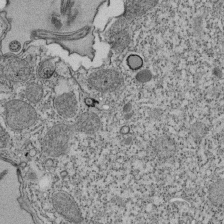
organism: Tetrahymena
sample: Cilia in tetrahymena